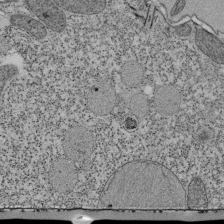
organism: Tetrahymena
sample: Cilia in tetrahymena